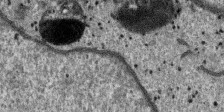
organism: Human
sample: Lung epithelial cells, uninfected (mock) control